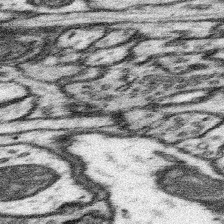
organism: Mouse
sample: Somatosensory cortex neuropil